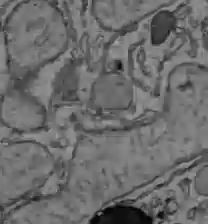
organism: C57BL Mouse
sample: Liver